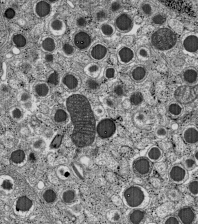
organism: C57BL Mouse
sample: Pancreatic islet